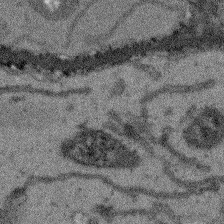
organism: Arabidopsis thaliana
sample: Root tip